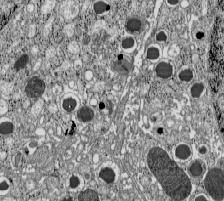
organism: C57BL Mouse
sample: Pancreatic islet